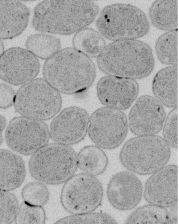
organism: E. coli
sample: Bacterial nucleoid